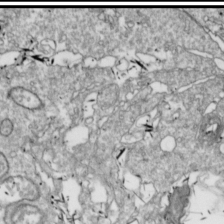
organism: Drosophila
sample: Cell division; meiosis; drosophila spermatocytes